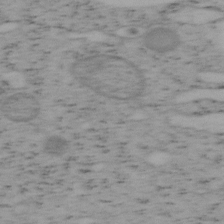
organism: Mouse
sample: OT-I killer T cells with ID8 ovarian cancer cells